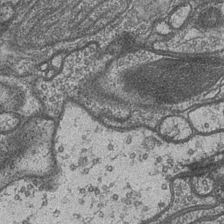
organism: Drosophila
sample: Optic medulla